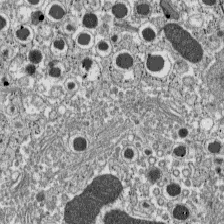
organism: C57BL Mouse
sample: Pancreatic islet